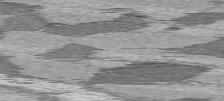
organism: C57BL Mouse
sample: Heart